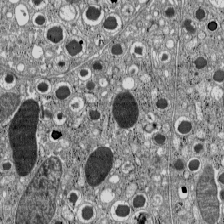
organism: C57BL Mouse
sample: Pancreatic islet